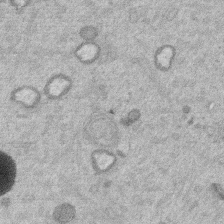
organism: Mouse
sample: Dividing mouse embryo 1 cell stage